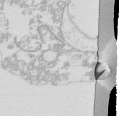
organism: Mouse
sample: Activated Pmel transgenic CD8+ T Cells